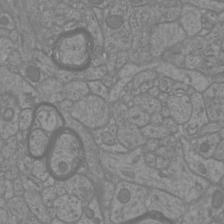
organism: Mouse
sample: Cortical neurons